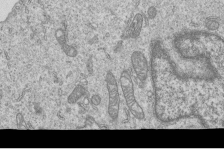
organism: Human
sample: MDA-MB-231 cells